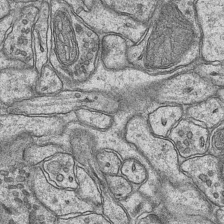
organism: Mouse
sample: CA1 Hippocampus